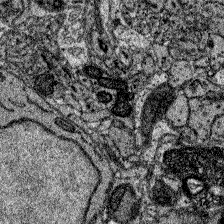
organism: Zebrafish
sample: Larval olfactory bulb